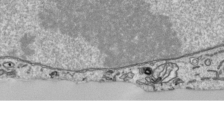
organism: Human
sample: Mitochondria in HCT116 cells